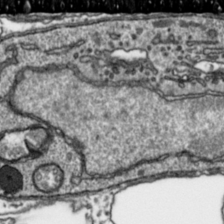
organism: Toxoplasma gondii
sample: Parasites in a vacuole inside a host cell